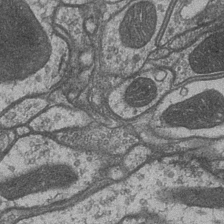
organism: Drosophila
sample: Optic medulla